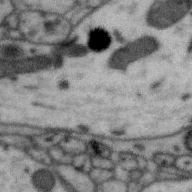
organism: Zebra finch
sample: Brain